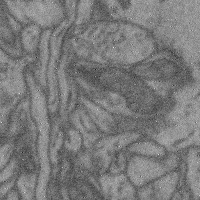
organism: Mouse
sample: Cerebral cortex